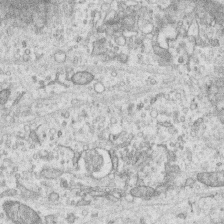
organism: Human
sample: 1205lu cells